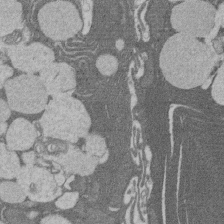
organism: Rat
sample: Salivary granule